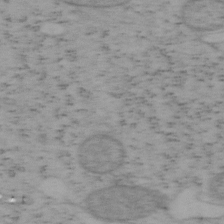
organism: Mouse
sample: OT-I killer T cells with ID8 ovarian cancer cells